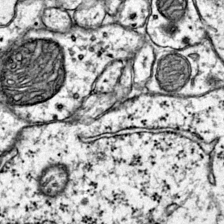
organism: Mouse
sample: Primary visual cortex